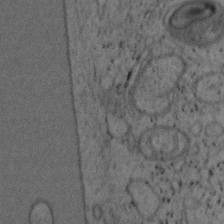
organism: Human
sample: HeLa cells